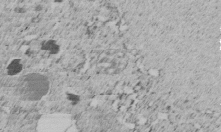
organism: C. elegans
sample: C. elegans embryo early stage